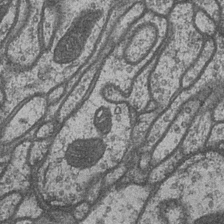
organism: Drosophila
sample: Optic medulla